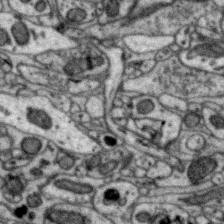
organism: Zebra finch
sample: Brain